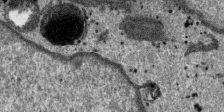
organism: Human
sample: Lung epithelial cells, uninfected (mock) control